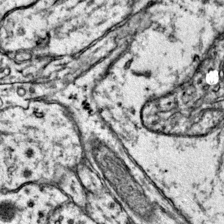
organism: Mouse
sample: Primary visual cortex